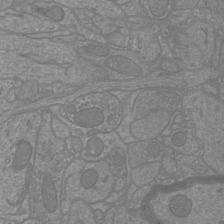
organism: Mouse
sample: Cortical neurons